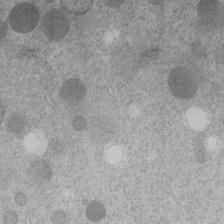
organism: C. elegans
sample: C. elegans embryo early stage